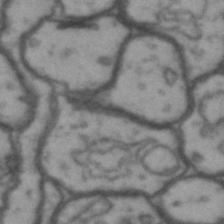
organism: Drosophila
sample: Brain